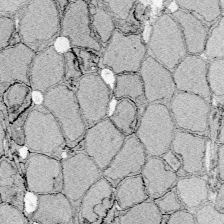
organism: Zebrafish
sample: Whole-Brain